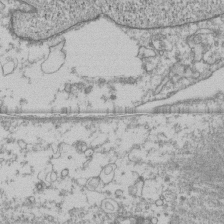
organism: Human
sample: Fibroblast cells